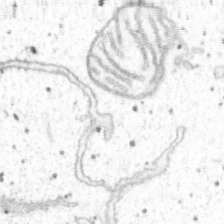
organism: Human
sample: HeLa cells